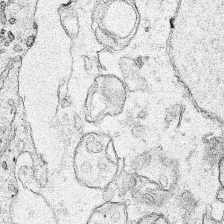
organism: Human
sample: Mitochondria in HCT116 cells